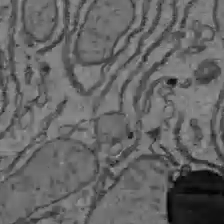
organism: C57BL Mouse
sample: Liver